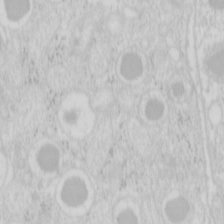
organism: Mouse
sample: Pancreas